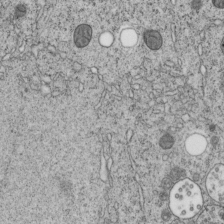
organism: C. elegans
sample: C. elegans embryo early stage